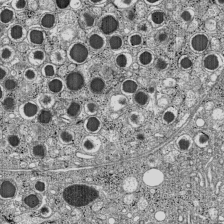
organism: C57BL Mouse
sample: Pancreatic islet